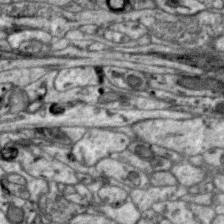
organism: Zebra finch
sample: Brain